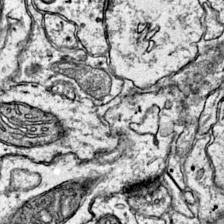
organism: Mouse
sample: Primary visual cortex